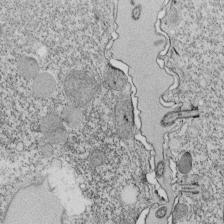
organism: Tetrahymena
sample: Cilia in tetrahymena